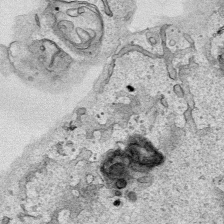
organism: Human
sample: Mitochondria in HCT116 cells